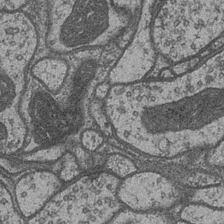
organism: Drosophila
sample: Optic medulla